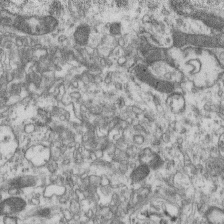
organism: Mouse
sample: Centriole in ependymal cells